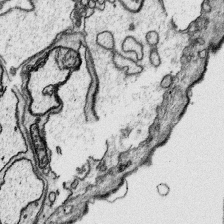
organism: Platynereis dumerilii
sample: Parapodia